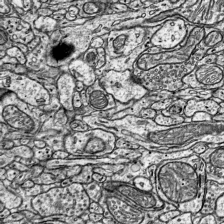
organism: Mouse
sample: Visual Cortex